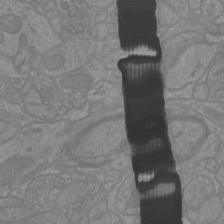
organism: Mouse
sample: Cortical neurons